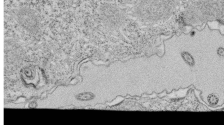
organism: Tetrahymena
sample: Cilia in tetrahymena